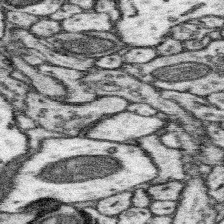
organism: Mouse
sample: Somatosensory cortex neuropil